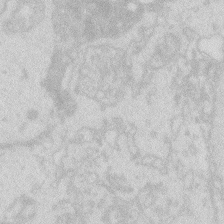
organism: Zebrafish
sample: Macrophage